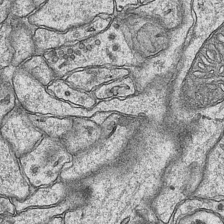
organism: Mouse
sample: CA1 Hippocampus